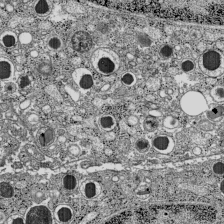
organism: C57BL Mouse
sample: Pancreatic islet